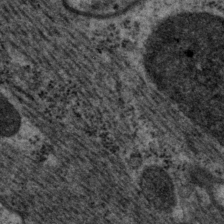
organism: P. pacificus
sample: Pharynx